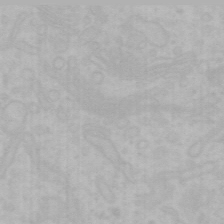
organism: Mouse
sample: Choroid plexus